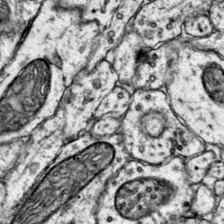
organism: Mouse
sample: Primary visual cortex